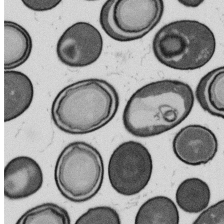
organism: B. subtilis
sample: Bacterial spore